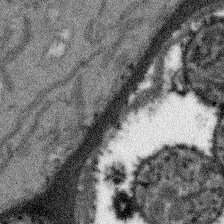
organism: Arabidopsis thaliana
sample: Root tip